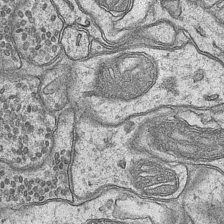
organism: Mouse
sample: CA1 Hippocampus